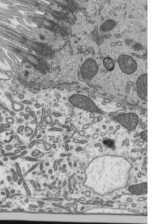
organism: Mouse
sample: Mouse epididymis efferent ductule cilia